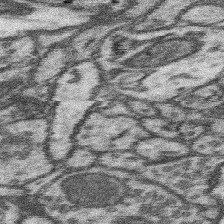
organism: Mouse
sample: Somatosensory cortex neuropil